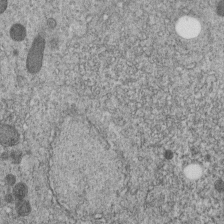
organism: C. elegans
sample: C. elegans embryo early stage